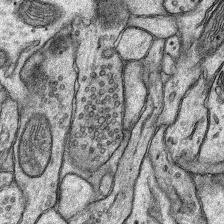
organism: Rat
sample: Hippocampus